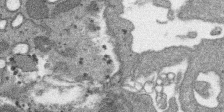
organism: Human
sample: Lung epithelial cells infected with SARS-CoV-2